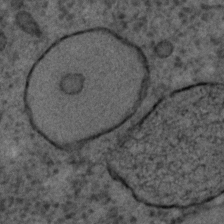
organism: C. elegans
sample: C. elegans embryo